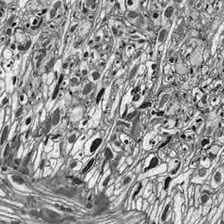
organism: Drosophila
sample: Optic lobe